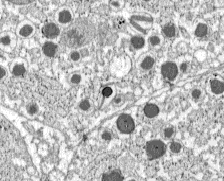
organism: C57BL Mouse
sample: Pancreatic islet